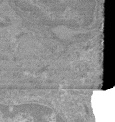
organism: Mouse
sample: Glomerulus